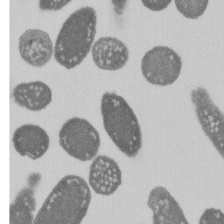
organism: E. coli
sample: Bacterial nucleoid